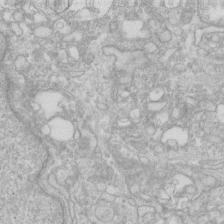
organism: Human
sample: Fibroblast cells